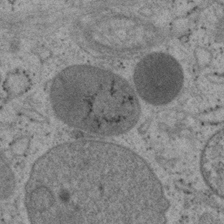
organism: Human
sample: HeLa cells